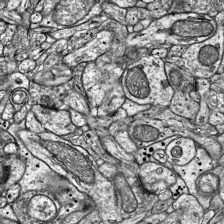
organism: Mouse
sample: Visual Cortex